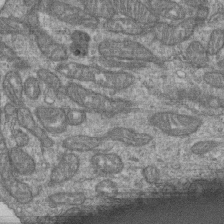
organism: Human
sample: Retinal organoid Rod and Cone cells